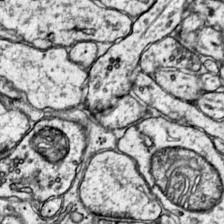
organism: Mouse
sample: Primary visual cortex